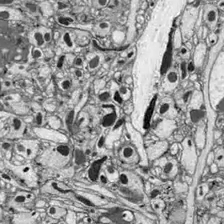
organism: Drosophila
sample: Optic lobe